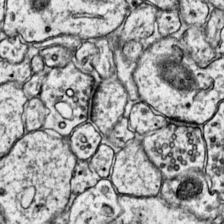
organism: Mouse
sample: Primary visual cortex